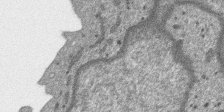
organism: Human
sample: Lung epithelial cells infected with SARS-CoV-2